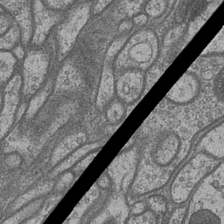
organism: Drosophila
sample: Optic medulla